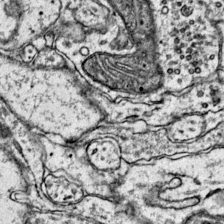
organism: Mouse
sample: Primary visual cortex